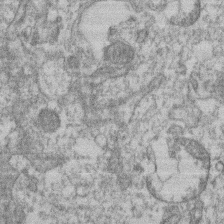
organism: Mouse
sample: T cell stromal cell synapse